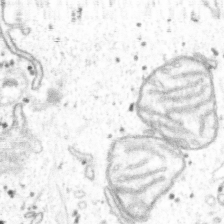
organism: Human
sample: HeLa cells